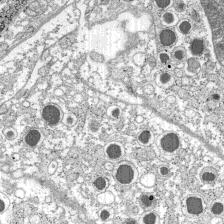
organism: C57BL Mouse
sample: Pancreatic islet